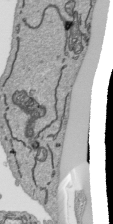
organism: Human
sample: Mitochondria in HCT116 cells